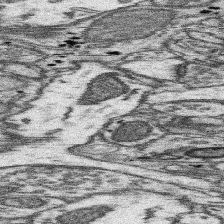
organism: Mouse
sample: Somatosensory cortex neuropil